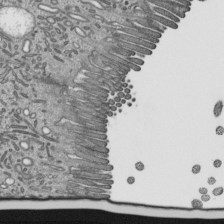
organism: Mouse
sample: Mouse epididymis efferent ductule cilia